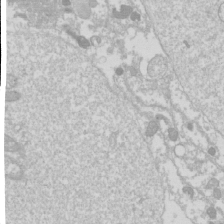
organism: Drosophila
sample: Cell division; meiosis; drosophila spermatocytes